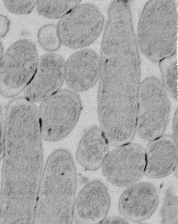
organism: E. coli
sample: Bacterial nucleoid